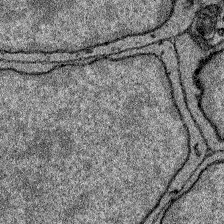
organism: Zebrafish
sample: Larval olfactory bulb